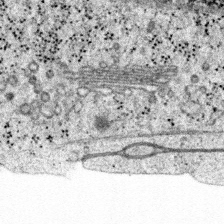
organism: Human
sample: HeLa cells